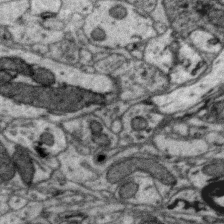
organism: Zebra finch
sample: Brain